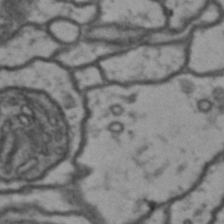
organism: Drosophila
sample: Brain